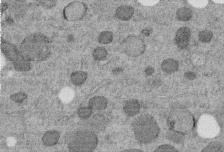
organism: C. elegans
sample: C. elegans embryo early stage